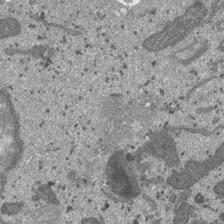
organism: Human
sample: Lung epithelial cells infected with SARS-CoV-2